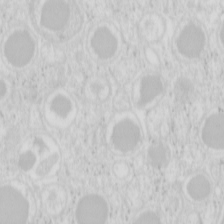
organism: Mouse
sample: Pancreas